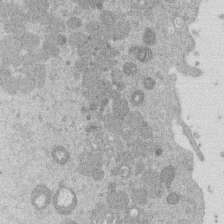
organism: Mouse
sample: Dividing mouse embryo 1 cell stage